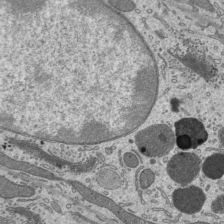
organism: Mouse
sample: Mouse epididymis efferent ductule cilia